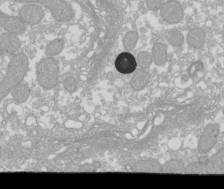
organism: Xenopus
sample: Cilia; centrioles in frog embryo cells